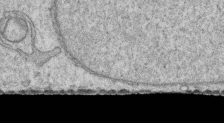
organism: Human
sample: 1205lu cells